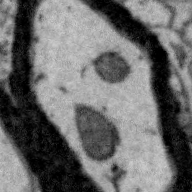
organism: Zebra finch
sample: Brain